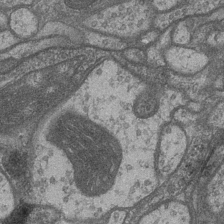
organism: Drosophila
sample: Optic medulla